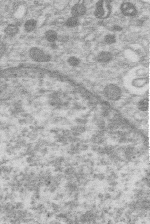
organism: Human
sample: Macrophage cells